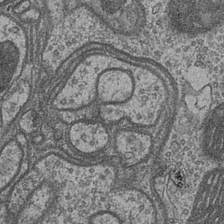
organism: Drosophila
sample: Optic medulla